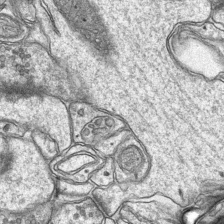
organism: Mouse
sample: CA1 Hippocampus